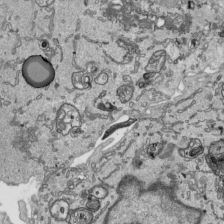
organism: Human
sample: Mitochondria in HCT116 cells